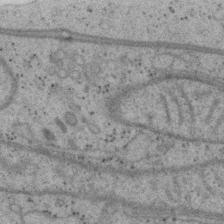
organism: Human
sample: HeLa cells